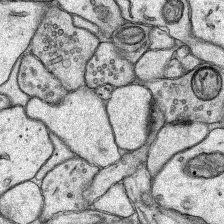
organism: Rat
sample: Hippocampus